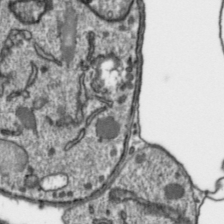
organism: Toxoplasma gondii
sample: Parasites in a vacuole inside a host cell